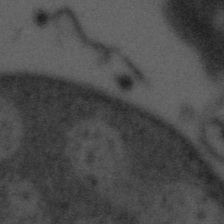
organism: Tuwongella immobilis